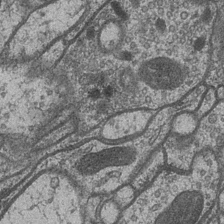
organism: Drosophila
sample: Optic medulla